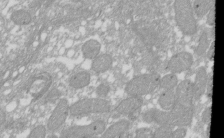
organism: Xenopus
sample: Cilia; centrioles in frog embryo cells